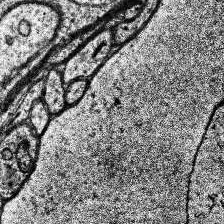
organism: Human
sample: Temporal Lobe